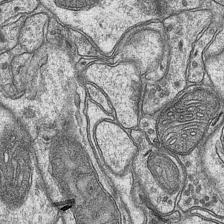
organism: Mouse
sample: CA1 Hippocampus